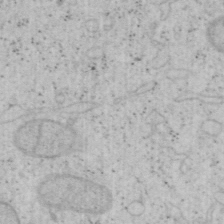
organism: Human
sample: HeLa cells